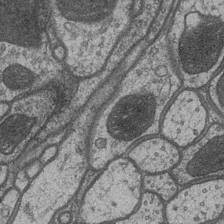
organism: Drosophila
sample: Optic medulla